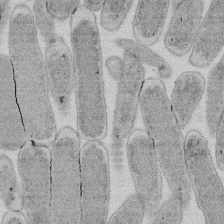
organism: E. coli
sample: Bacterial nucleoid